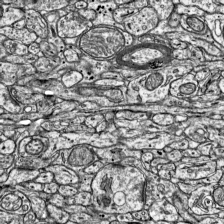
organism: Mouse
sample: Visual Cortex